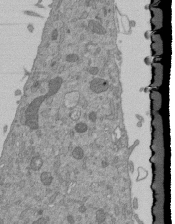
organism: Mouse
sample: ED-1 cell nuclei; centrioles